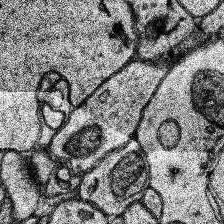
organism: Human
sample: Temporal Lobe